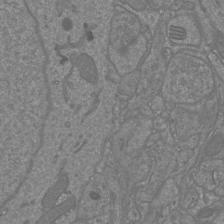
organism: Mouse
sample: Cortical neurons